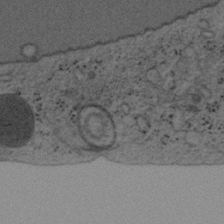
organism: Human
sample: HeLa cells